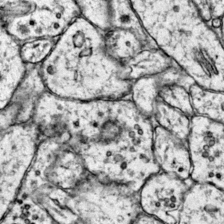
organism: Mouse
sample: Primary visual cortex